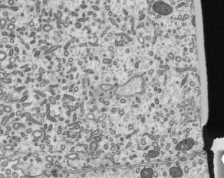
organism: Mouse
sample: Mouse epididymis efferent ductule cilia